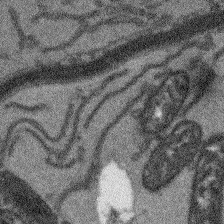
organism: Arabidopsis thaliana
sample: Root tip